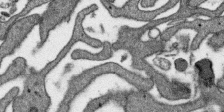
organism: Human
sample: Lung epithelial cells, uninfected (mock) control